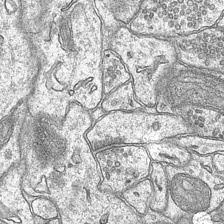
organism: Mouse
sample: CA1 Hippocampus